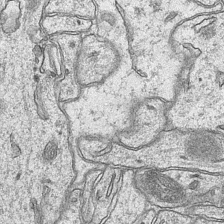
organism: Mouse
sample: CA1 Hippocampus